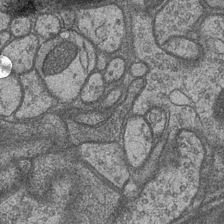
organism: Drosophila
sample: Optic medulla